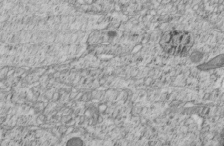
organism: C. elegans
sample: C. elegans embryo early stage